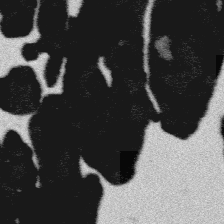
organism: Platynereis dumerilii